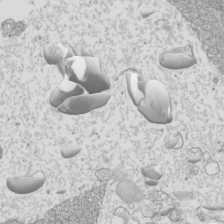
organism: Mouse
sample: Cilia; mouse epididymis